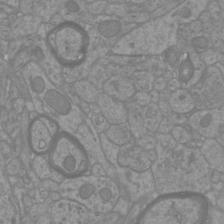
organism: Mouse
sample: Cortical neurons